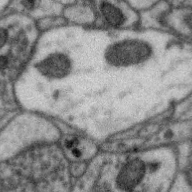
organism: Zebra finch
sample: Brain